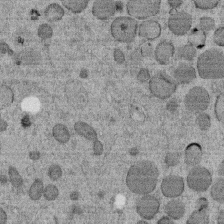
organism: C. elegans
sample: C. elegans embryo early stage